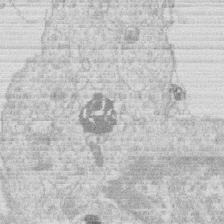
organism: Human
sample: Macrophage cells